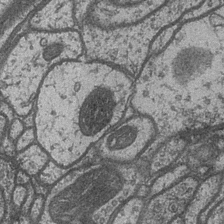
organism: Drosophila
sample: Optic medulla